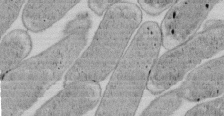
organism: E. coli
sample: Bacterial nucleoid